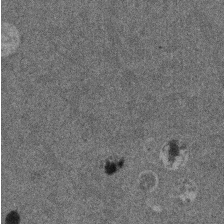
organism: Mouse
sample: Dividing mouse embryo 1 cell stage